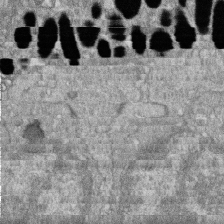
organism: Zebrafish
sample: Cilia; retinal pigment epithelium